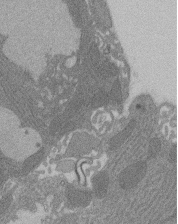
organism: Rat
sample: Salivary granule